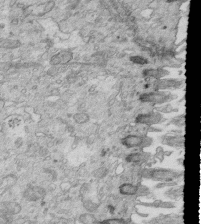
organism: Mouse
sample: Multiciliated cells